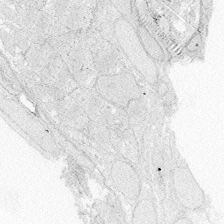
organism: Zebrafish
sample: Whole-Brain